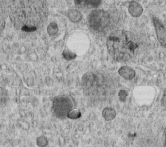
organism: C. elegans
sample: C. elegans embryo early stage